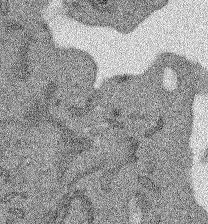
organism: Human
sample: HeLa cells